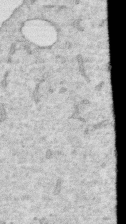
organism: Human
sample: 1205lu cells